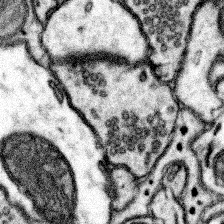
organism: Mouse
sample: Somatosensory cortex neuropil